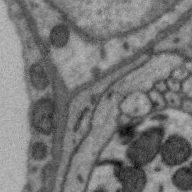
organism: Zebra finch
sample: Brain